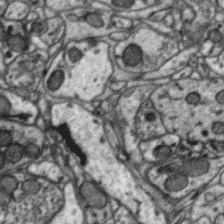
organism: Zebra finch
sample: Brain